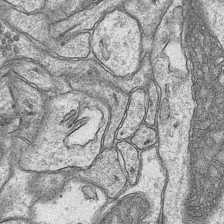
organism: Mouse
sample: CA1 Hippocampus